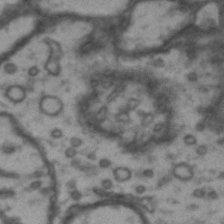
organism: Drosophila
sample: Brain